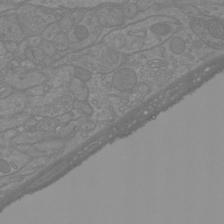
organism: Mouse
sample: Cortical neurons